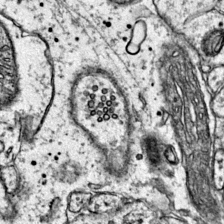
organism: Mouse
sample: Primary visual cortex